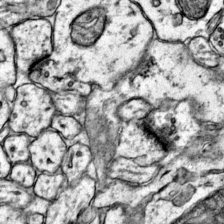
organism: Mouse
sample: Primary visual cortex